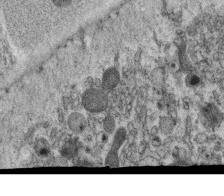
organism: C. elegans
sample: C. elegans oocyte; sperm cells